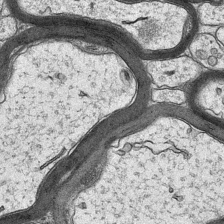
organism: Mouse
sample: CA1 Hippocampus